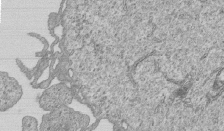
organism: Human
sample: MDA-MB-231 cells